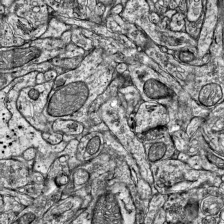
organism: Mouse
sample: Visual Cortex